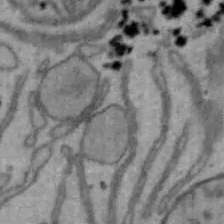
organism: Mouse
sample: Liver